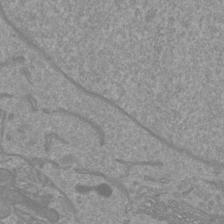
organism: Mouse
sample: Cortical neurons